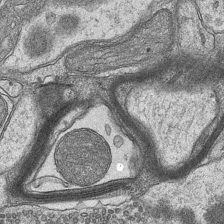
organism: Mouse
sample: CA1 Hippocampus